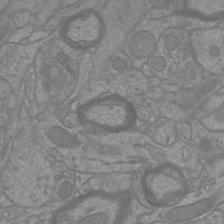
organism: Mouse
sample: Cortical neurons